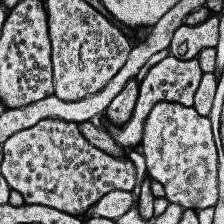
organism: Human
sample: Temporal Lobe